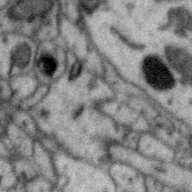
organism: Zebra finch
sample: Brain